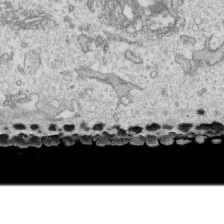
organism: Human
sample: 1205lu cells